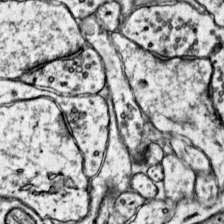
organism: Mouse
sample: Primary visual cortex